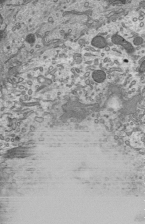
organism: Mouse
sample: Mouse epididymis efferent ductule cilia